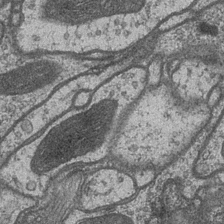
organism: Drosophila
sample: Optic medulla